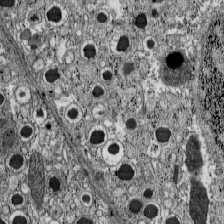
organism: C57BL Mouse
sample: Pancreatic islet